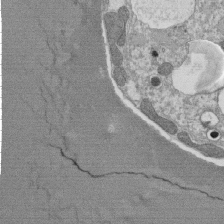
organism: Tetrahymena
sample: Cilia in tetrahymena